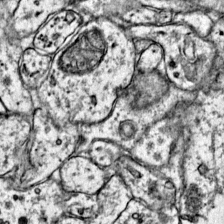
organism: Mouse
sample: Primary visual cortex